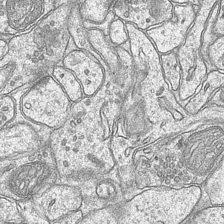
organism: Mouse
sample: CA1 Hippocampus